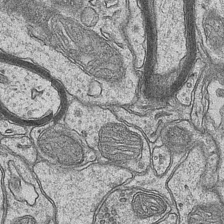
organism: Mouse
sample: CA1 Hippocampus